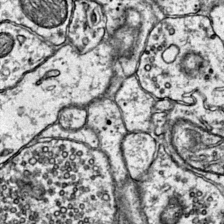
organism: Mouse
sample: Primary visual cortex